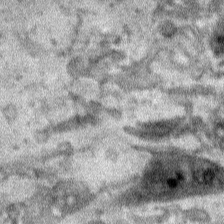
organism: Human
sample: Mitochondria in HCT116 cells